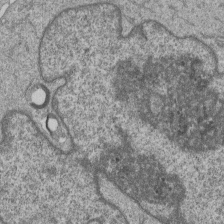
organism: Human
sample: MDA-MB-231 cells